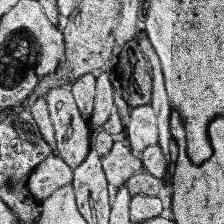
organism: Human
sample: Temporal Lobe